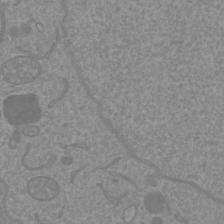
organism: Mouse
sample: Cortical neurons